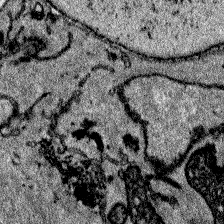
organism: Zebrafish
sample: Larval olfactory bulb